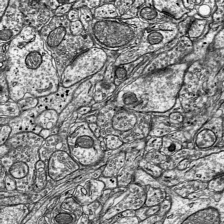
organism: Mouse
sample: Visual Cortex